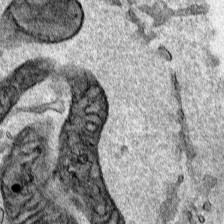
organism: Human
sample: Mitochondria in HCT116 cells